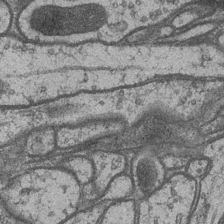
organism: Drosophila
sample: Optic medulla